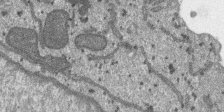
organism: Human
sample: Lung epithelial cells infected with SARS-CoV-2